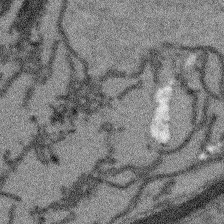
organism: Arabidopsis thaliana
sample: Root tip